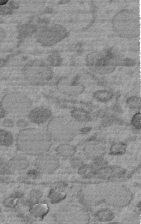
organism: C. elegans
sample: C. elegans embryo early stage